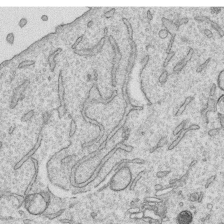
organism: Human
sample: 1205lu cells